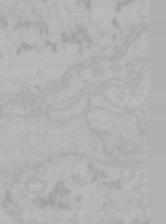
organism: Mouse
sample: Choroid plexus